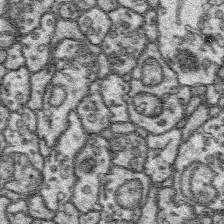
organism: Platynereis dumerilii